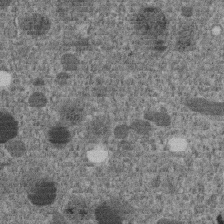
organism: C. elegans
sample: C. elegans embryo early stage